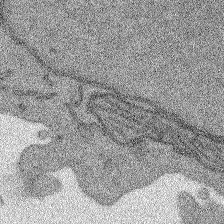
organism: Human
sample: HeLa cells